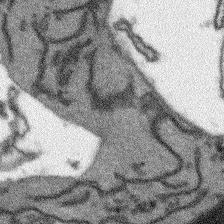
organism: Arabidopsis thaliana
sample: Root tip